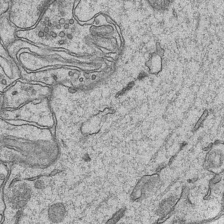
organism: Mouse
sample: CA1 Hippocampus